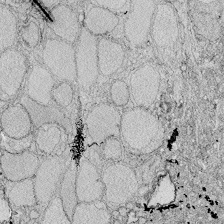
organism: Zebrafish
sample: Whole-Brain